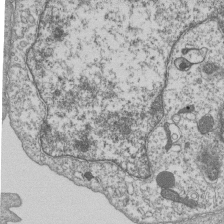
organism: Human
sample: MDA-MB-231 cells